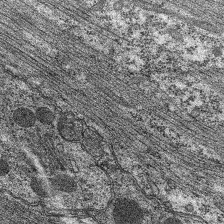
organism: C. elegans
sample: Pharynx